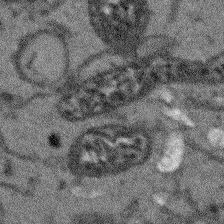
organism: Arabidopsis thaliana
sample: Root tip